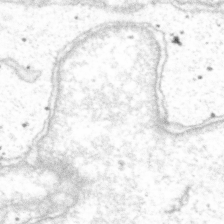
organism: Human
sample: HeLa cells